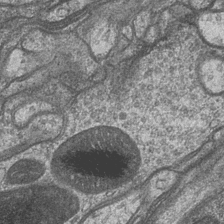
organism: Drosophila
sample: Optic medulla